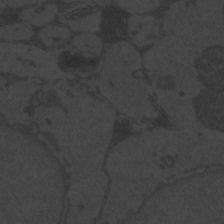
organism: Zebrafish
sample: Macrophage infected with Toxoplasma gondii